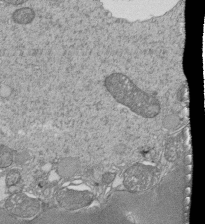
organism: Tetrahymena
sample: Cilia in tetrahymena